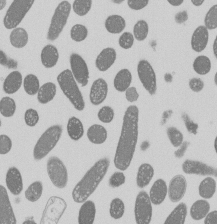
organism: E. coli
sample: Bacterial nucleoid